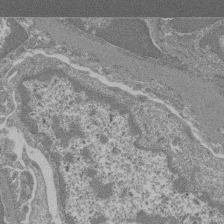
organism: Mouse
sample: Glomerulus